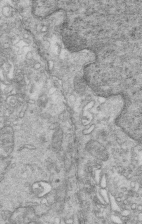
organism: Mouse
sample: Multiciliated cells